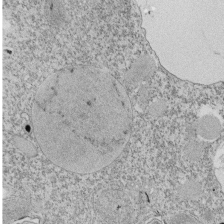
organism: Tetrahymena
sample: Cilia in tetrahymena